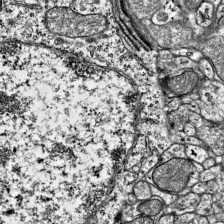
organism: Mouse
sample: Visual Cortex